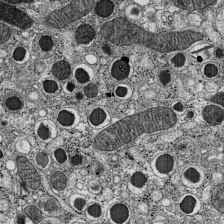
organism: C57BL Mouse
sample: Pancreatic islet